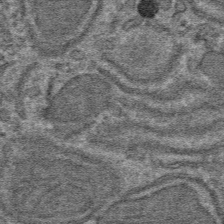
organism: Mouse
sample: Mouse hepatocytes